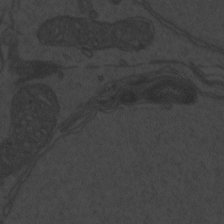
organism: Zebrafish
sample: Macrophage infected with Toxoplasma gondii